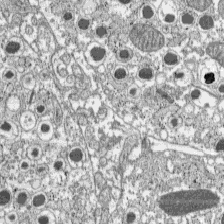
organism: C57BL Mouse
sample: Pancreatic islet